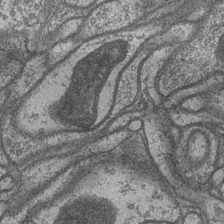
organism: Drosophila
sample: Optic medulla